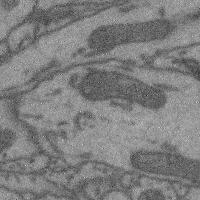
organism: Mouse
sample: Cerebral cortex